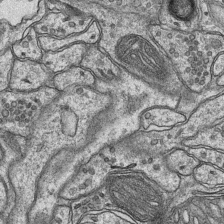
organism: Mouse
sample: CA1 Hippocampus